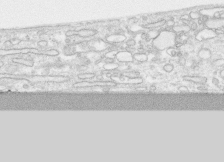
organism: Human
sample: CRL-1474